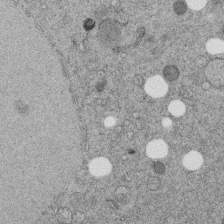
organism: C. elegans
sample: C. elegans embryo early stage